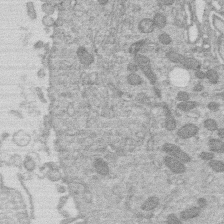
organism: Human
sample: Macrophage cells